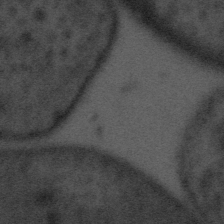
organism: Tuwongella immobilis